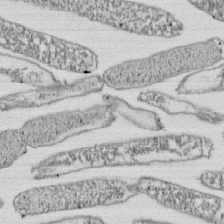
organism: E. coli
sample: Bacterial nucleoid